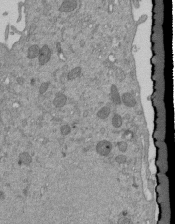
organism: Mouse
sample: ED-1 cell nuclei; centrioles